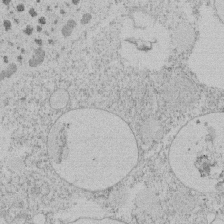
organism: Tetrahymena